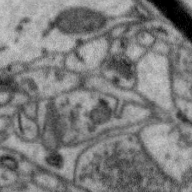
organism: Zebra finch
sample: Brain